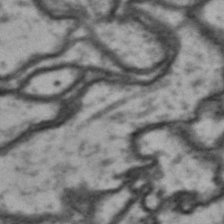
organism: Drosophila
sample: Brain